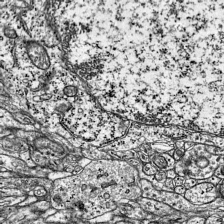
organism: Mouse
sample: Visual Cortex